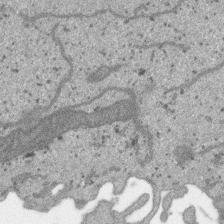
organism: Human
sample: Lung epithelial cells infected with SARS-CoV-2